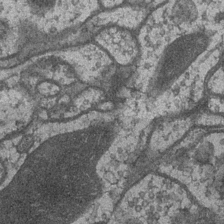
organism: Drosophila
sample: Optic medulla